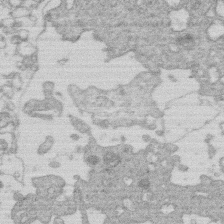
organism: Human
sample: Macrophage cells